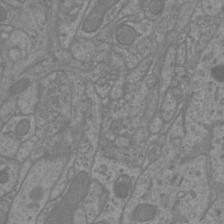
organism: Mouse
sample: Cortical neurons